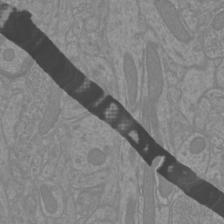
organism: Mouse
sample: Cortical neurons